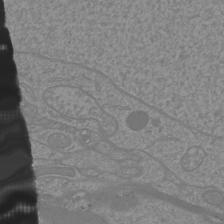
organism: Mouse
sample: Cortical neurons